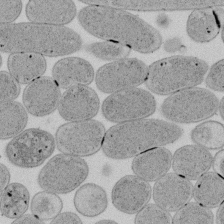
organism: E. coli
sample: Bacterial nucleoid